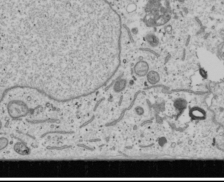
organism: Human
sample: Mitochondria in U2OS cells